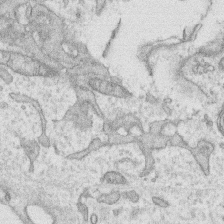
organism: Human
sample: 1205lu cells